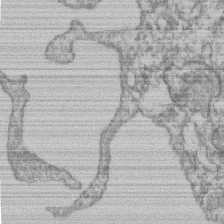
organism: Mouse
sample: T cell stromal cell synapse